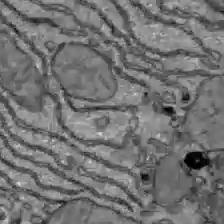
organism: C57BL Mouse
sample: Liver